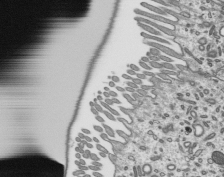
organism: Mouse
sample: Mouse epididymis efferent ductule cilia